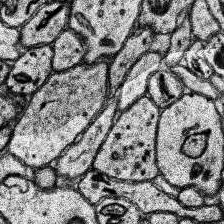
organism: Human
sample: Temporal Lobe